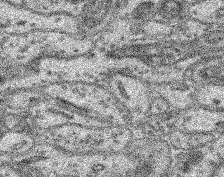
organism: Mouse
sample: Retina